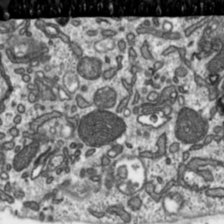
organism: Toxoplasma gondii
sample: Parasites in a vacuole inside a host cell